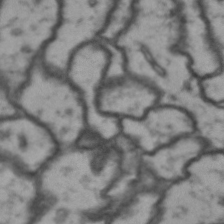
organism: Drosophila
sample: Brain